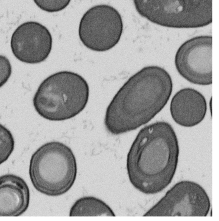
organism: B. subtilis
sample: Bacterial spore